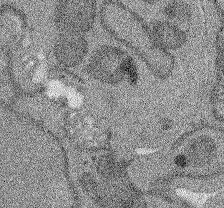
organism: Human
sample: HeLa cells